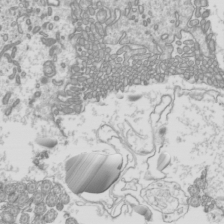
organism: Mouse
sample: Cilia; mouse epididymis